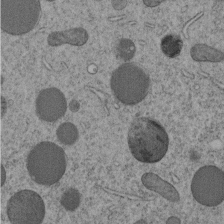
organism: C. elegans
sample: C. elegans embryo early stage